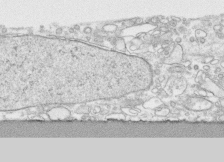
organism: Human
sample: CRL-1474